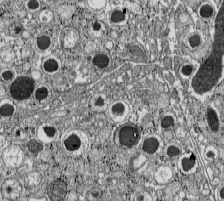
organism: C57BL Mouse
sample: Pancreatic islet